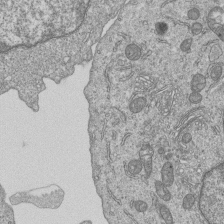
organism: Human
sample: MDA-MB-231 cells